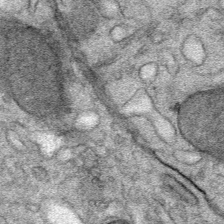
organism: Mouse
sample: Mouse Salivary gland